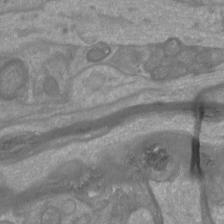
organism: Mouse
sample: Cortical neurons